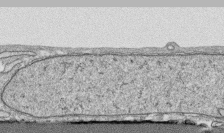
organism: Human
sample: CRL-1474